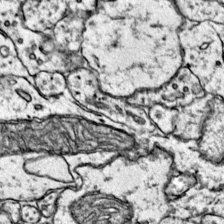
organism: Mouse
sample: Primary visual cortex